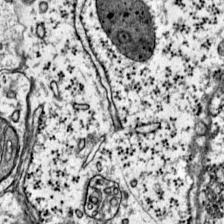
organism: Mouse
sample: Primary visual cortex